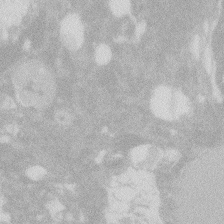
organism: Zebrafish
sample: Macrophage